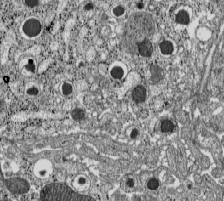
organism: C57BL Mouse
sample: Pancreatic islet